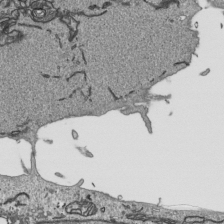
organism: Human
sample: Mitochondria in HCT116 cells